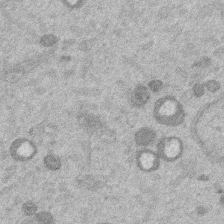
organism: Mouse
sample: Dividing mouse embryo 1 cell stage